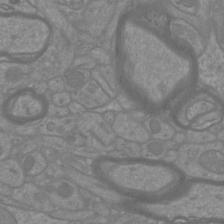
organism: Mouse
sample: Cortical neurons